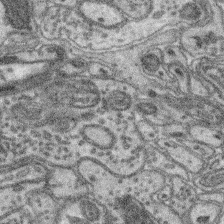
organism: Mouse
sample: Retina